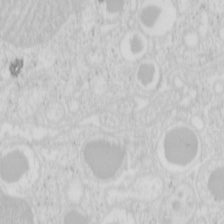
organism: Mouse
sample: Pancreas